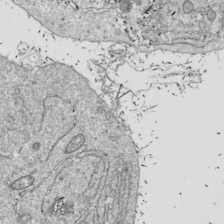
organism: Drosophila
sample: Cell division; meiosis; drosophila spermatocytes